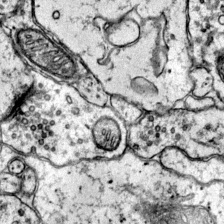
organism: Mouse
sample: Primary visual cortex